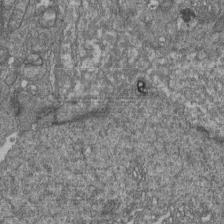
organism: Human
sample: Retinal organoid Rod and Cone cells